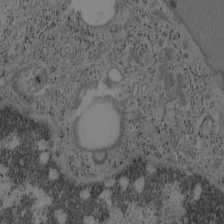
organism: Mouse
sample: OT-I killer T cells with ID8 ovarian cancer cells